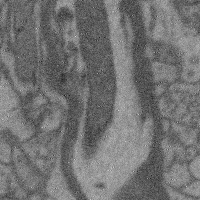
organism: Mouse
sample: Cerebral cortex